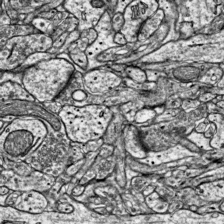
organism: Mouse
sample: Visual Cortex